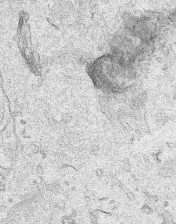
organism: Human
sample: Mitochondria in HCT116 cells